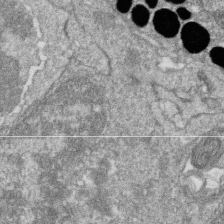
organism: Zebrafish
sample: Cilia; retinal pigment epithelium